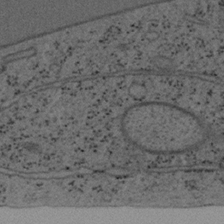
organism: Human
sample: HeLa cells